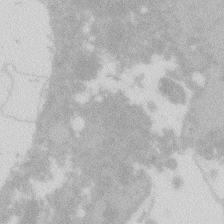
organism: Zebrafish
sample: Macrophage